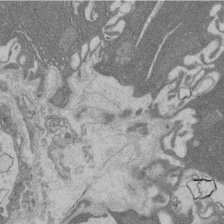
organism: Rat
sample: Salivary granule